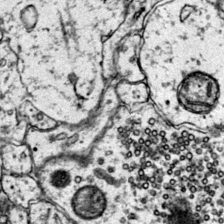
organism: Mouse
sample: Primary visual cortex